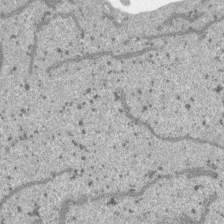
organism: Human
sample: Lung epithelial cells infected with SARS-CoV-2